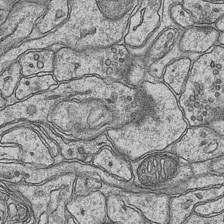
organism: Mouse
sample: CA1 Hippocampus